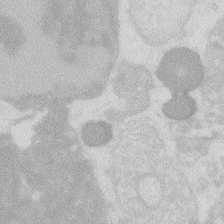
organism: Zebrafish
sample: Macrophage